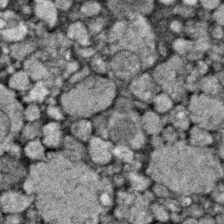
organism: Zebrafish